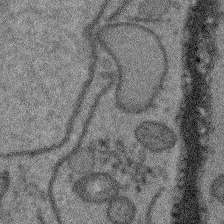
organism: Arabidopsis thaliana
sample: Root tip